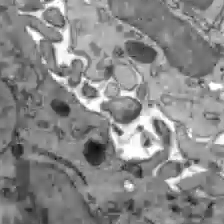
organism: C57BL Mouse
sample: Liver